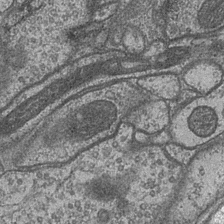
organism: Drosophila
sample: Optic medulla